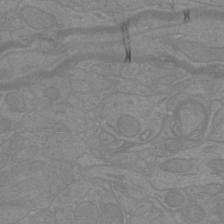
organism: Mouse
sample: Cortical neurons